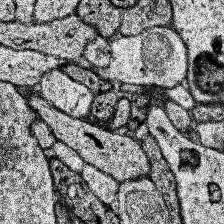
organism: Human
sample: Temporal Lobe